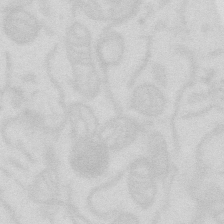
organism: Human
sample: HeLa cells